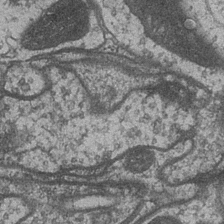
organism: Drosophila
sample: Optic medulla